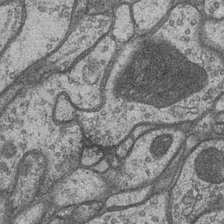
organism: Drosophila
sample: Optic medulla